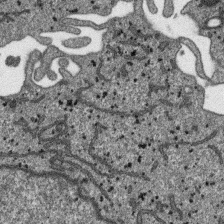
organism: Human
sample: Lung epithelial cells infected with SARS-CoV-2